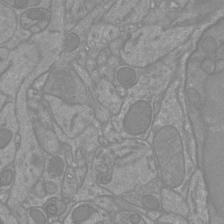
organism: Mouse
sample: Cortical neurons